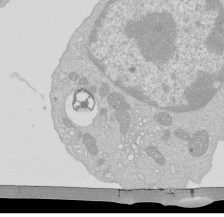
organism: Mouse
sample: Activated Pmel transgenic CD8+ T Cells